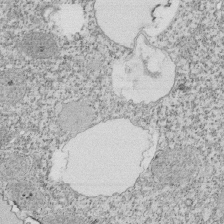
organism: Tetrahymena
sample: Cilia in tetrahymena